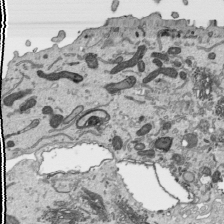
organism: Human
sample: Mitochondria in HCT116 cells